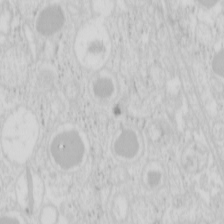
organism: Mouse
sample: Pancreas